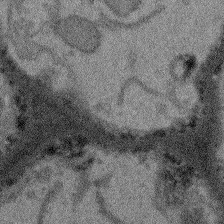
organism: Arabidopsis thaliana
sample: Root tip